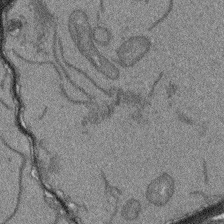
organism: Arabidopsis thaliana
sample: Root tip